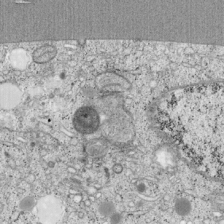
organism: African green monkey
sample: COS-7 cells